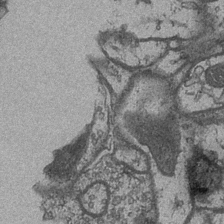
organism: Drosophila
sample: Optic medulla